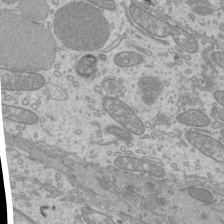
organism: Mouse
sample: Cilia; mouse epididymis